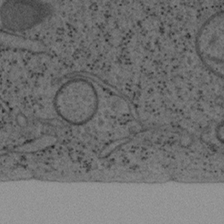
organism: Human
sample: HeLa cells